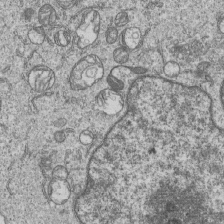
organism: Human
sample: MDA-MB-231 cells